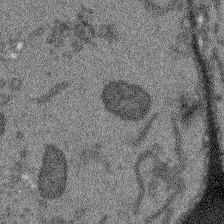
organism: Arabidopsis thaliana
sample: Root tip